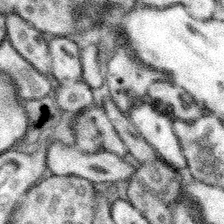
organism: Mouse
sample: Somatosensory cortex neuropil